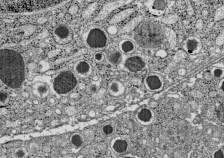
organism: C57BL Mouse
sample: Pancreatic islet